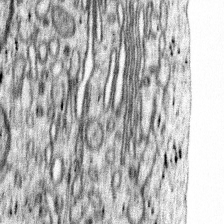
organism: Human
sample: HeLa cells